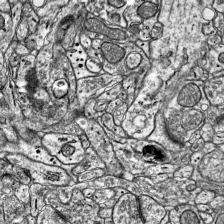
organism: Mouse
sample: Visual Cortex